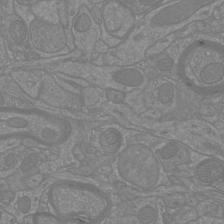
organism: Mouse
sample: Cortical neurons